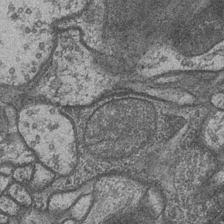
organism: Drosophila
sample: Optic medulla